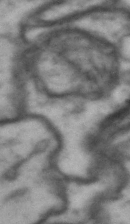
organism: Drosophila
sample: Brain